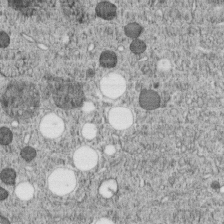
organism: C. elegans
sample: C. elegans embryo early stage